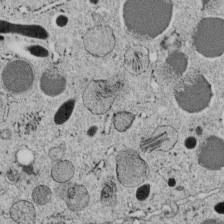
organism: C. elegans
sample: C. elegans embryo early stage